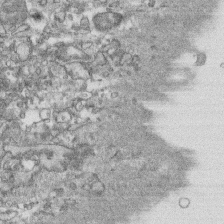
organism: Human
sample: CRL-1474